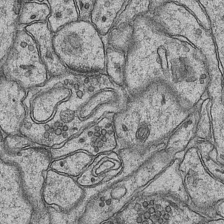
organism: Mouse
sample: CA1 Hippocampus